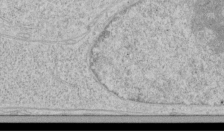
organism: Human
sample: Mitochondria in HCT116 cells